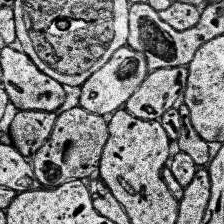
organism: Human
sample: Temporal Lobe